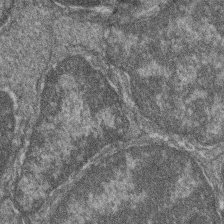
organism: Zebrafish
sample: Cilia; retinal pigment epithelium